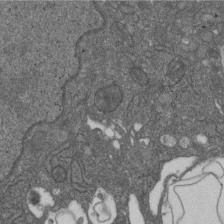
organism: Drosophila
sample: Nephrocyte